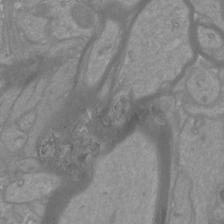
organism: Mouse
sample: Cortical neurons